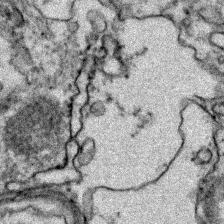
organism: Zebrafish